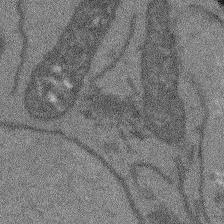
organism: Arabidopsis thaliana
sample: Root tip